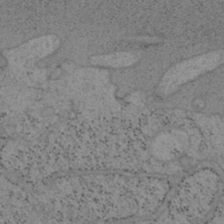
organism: Mouse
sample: OT-I killer T cells with ID8 ovarian cancer cells